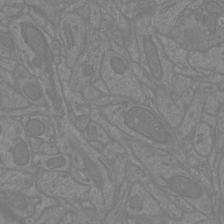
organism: Mouse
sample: Cortical neurons